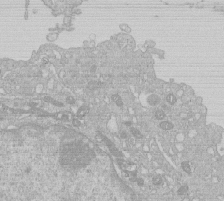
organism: Human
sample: Macrophage cells